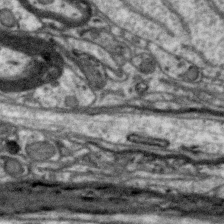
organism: Zebra finch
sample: Brain